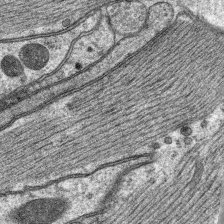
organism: C. elegans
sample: Pharynx